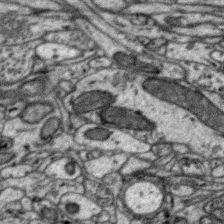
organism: Zebra finch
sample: Brain